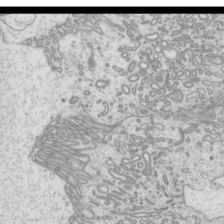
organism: Mouse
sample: Cilia; mouse epididymis